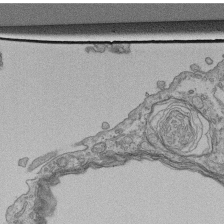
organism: Human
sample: Retinal organoid Rod and Cone cells